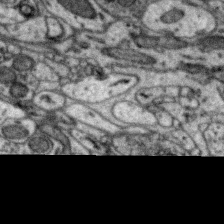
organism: Zebra finch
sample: Brain